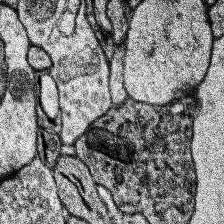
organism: Human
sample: Temporal Lobe